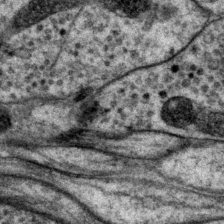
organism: P. pacificus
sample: Pharynx